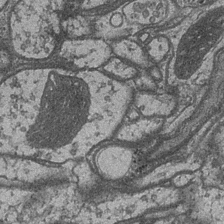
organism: Drosophila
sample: Optic medulla